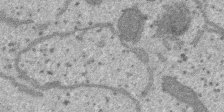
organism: Human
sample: Lung epithelial cells infected with SARS-CoV-2